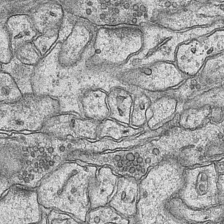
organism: Mouse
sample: CA1 Hippocampus